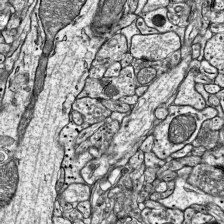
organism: Mouse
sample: Visual Cortex